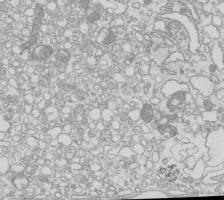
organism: Mouse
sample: Macrophages